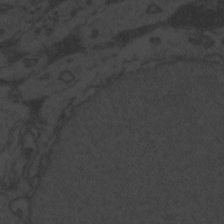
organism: Zebrafish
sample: Macrophage infected with Toxoplasma gondii